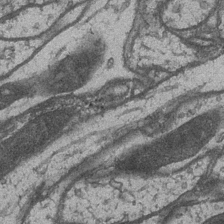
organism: Drosophila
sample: Optic medulla